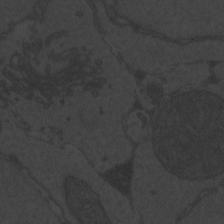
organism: Zebrafish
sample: Macrophage infected with Toxoplasma gondii